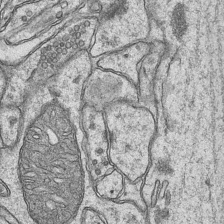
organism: Mouse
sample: CA1 Hippocampus